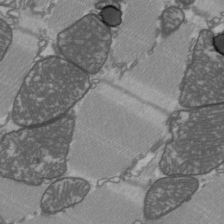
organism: C57BL Mouse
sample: Heart